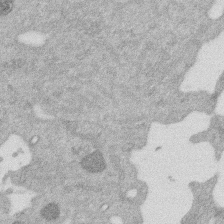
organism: Mouse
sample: Dividing mouse embryo 1 cell stage